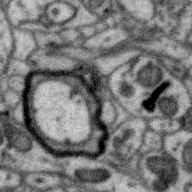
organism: Zebra finch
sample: Brain